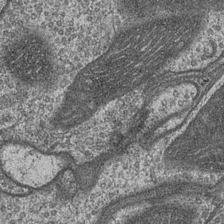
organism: Drosophila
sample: Optic medulla